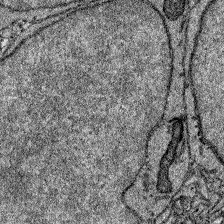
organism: Zebrafish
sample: Larval olfactory bulb